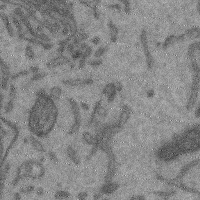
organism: Mouse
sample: Cerebral cortex